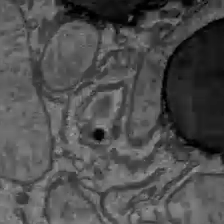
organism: C57BL Mouse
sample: Liver